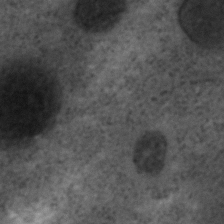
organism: C. elegans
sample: C. elegans embryo